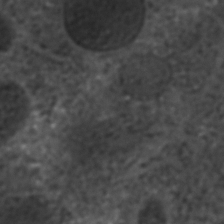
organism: C. elegans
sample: C. elegans embryo